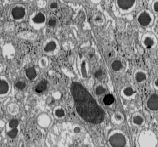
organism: C57BL Mouse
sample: Pancreatic islet